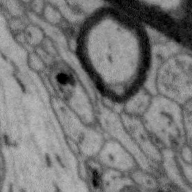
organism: Zebra finch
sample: Brain